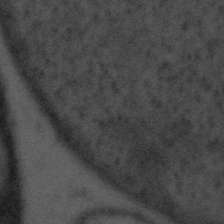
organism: Tuwongella immobilis